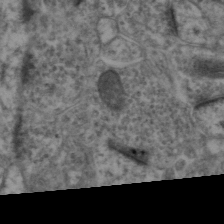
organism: Mouse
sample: Neocortex